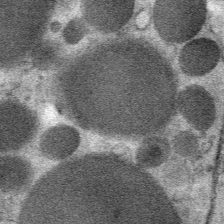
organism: Mouse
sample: Mouse Salivary gland